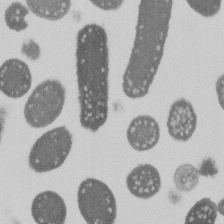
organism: E. coli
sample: Bacterial nucleoid